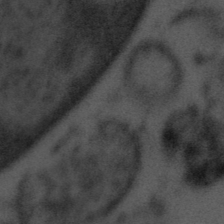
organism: Tuwongella immobilis